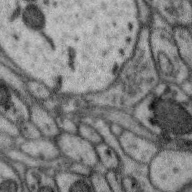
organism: Zebra finch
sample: Brain